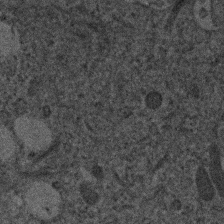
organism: Human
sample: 1205lu cells